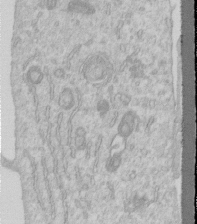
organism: Human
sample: Centriole in RPE cells